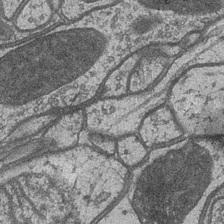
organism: Drosophila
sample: Optic medulla